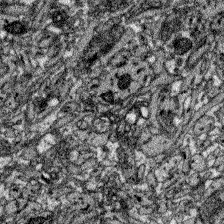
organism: Zebrafish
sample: Larval olfactory bulb